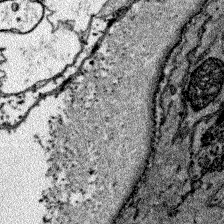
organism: Zebrafish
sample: Larval olfactory bulb